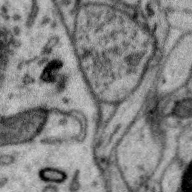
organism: Zebra finch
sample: Brain